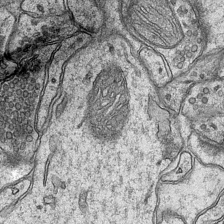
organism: Mouse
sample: CA1 Hippocampus